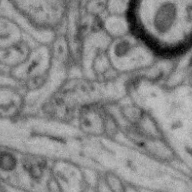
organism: Zebra finch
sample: Brain